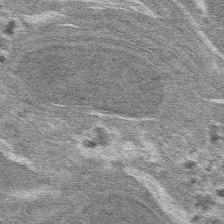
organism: Mouse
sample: Mouse hepatocytes